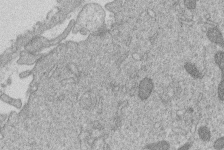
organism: Human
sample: Macrophage cells